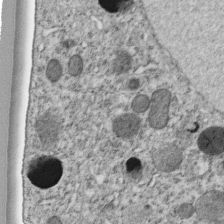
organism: C. elegans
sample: C. elegans embryo early stage